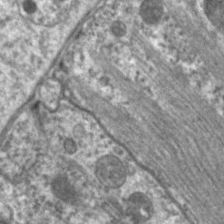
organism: C. elegans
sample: Pharynx